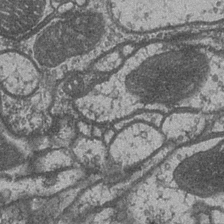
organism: Drosophila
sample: Optic medulla